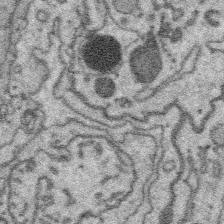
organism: Platynereis dumerilii